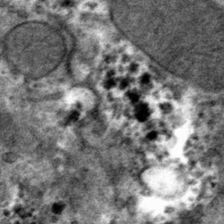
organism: Mouse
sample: Mouse hepatocytes